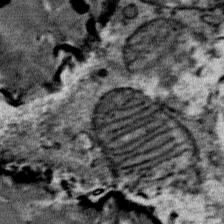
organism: Mouse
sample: Mouse Salivary gland